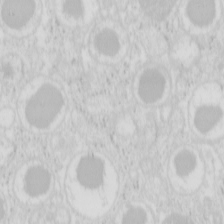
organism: Mouse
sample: Pancreas